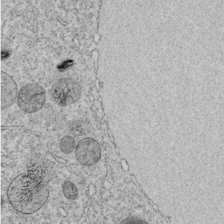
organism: C. elegans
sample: C. elegans embryo early stage